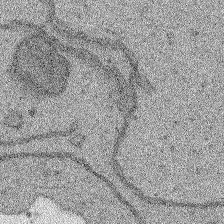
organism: Human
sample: HeLa cells